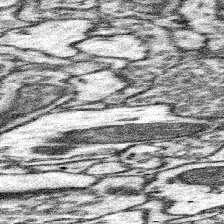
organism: Mouse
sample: Somatosensory cortex neuropil